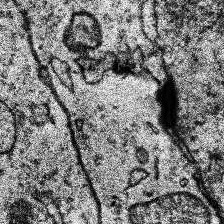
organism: Human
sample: Temporal Lobe